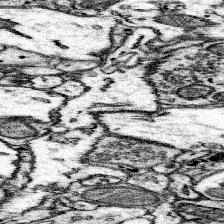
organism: Mouse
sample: Somatosensory cortex neuropil